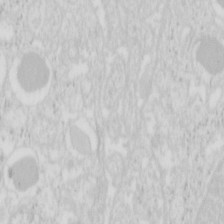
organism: Mouse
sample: Pancreas